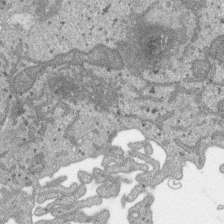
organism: Human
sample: Lung epithelial cells infected with SARS-CoV-2